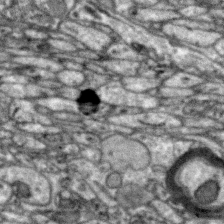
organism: Zebra finch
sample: Brain